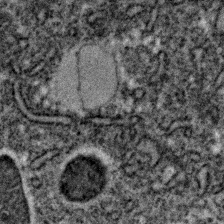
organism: C. elegans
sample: C. elegans embryo